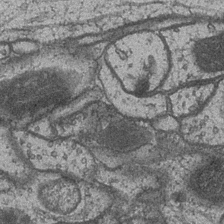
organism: Drosophila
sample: Optic medulla